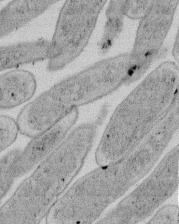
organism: E. coli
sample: Bacterial nucleoid